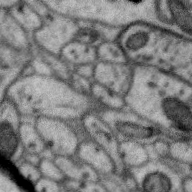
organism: Zebra finch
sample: Brain